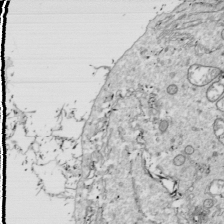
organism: Drosophila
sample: Cell division; meiosis; drosophila spermatocytes